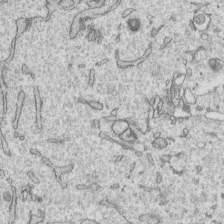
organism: Human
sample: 1205lu cells